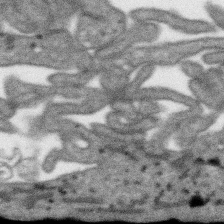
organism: Human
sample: Lung epithelial cells infected with SARS-CoV-2